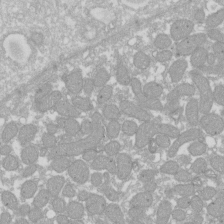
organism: Xenopus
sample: Cilia; centrioles in frog embryo cells